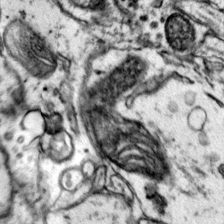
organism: Mouse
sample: Primary visual cortex